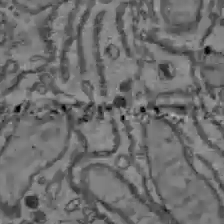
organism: C57BL Mouse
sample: Liver